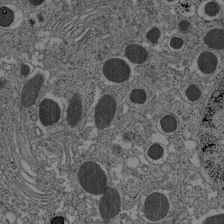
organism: C57BL Mouse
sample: Pancreatic islet